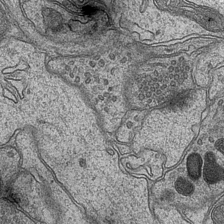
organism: Mouse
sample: CA1 Hippocampus